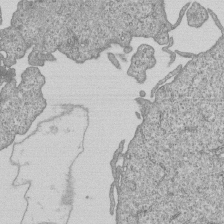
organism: Human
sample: MDA-MB-231 cells